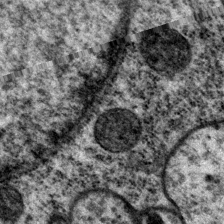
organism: P. pacificus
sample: Pharynx